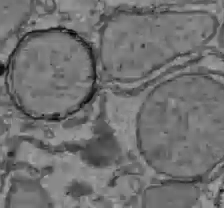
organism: C57BL Mouse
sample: Liver